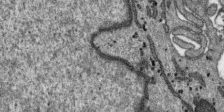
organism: Human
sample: Lung epithelial cells, uninfected (mock) control